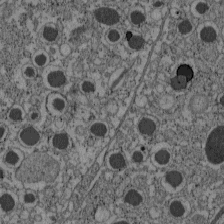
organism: C57BL Mouse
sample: Pancreatic islet